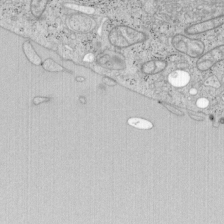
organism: Mouse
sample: OT-I killer T cells with ID8 ovarian cancer cells